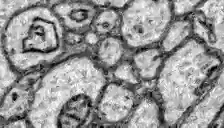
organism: Zebrafish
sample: Brain